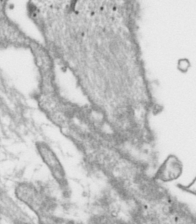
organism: Toxoplasma gondii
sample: Parasites in a vacuole inside a host cell